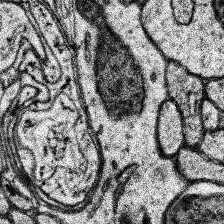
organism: Human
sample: Temporal Lobe